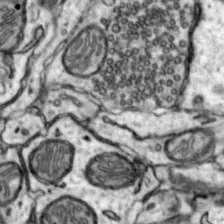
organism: Mouse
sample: Nucleus accumbens